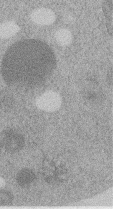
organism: C. elegans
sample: C. elegans embryo early stage